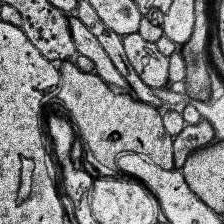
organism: Human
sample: Temporal Lobe